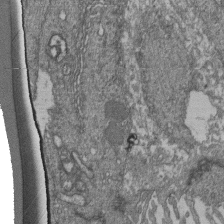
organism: Human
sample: Retinal organoid Rod and Cone cells